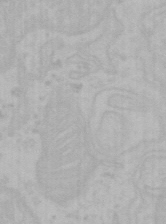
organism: Mouse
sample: Choroid plexus